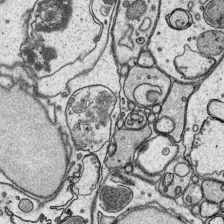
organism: Platynereis dumerilii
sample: Parapodia